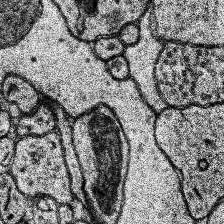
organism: Human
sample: Temporal Lobe